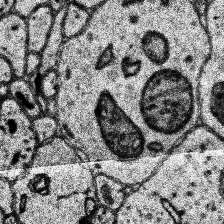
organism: Human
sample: Temporal Lobe